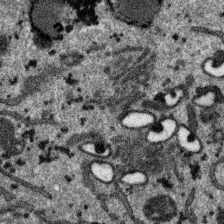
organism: Human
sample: Lung epithelial cells infected with SARS-CoV-2